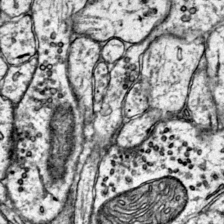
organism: Mouse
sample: Primary visual cortex